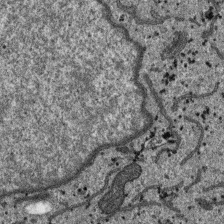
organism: Human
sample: Lung epithelial cells infected with SARS-CoV-2